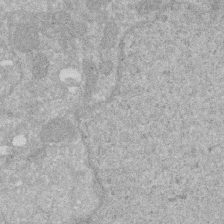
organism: Human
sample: HIV infected U937 cells